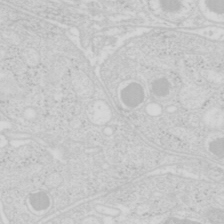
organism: Mouse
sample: Pancreas